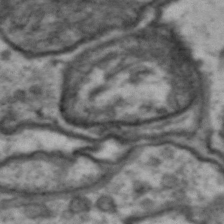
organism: Drosophila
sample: Brain